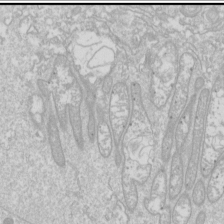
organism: Drosophila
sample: Cell division; meiosis; drosophila spermatocytes